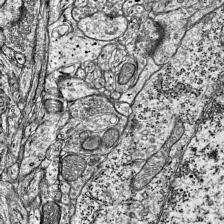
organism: Mouse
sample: Visual Cortex